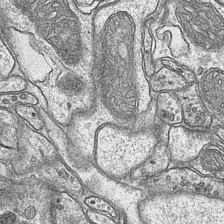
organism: Mouse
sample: CA1 Hippocampus